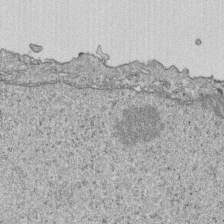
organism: Human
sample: HeLa cell HIV synapse